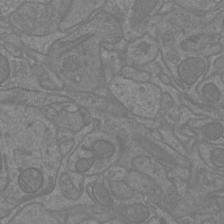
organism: Mouse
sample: Cortical neurons